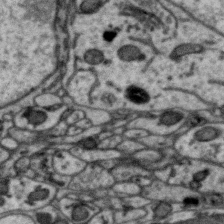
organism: Zebra finch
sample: Brain